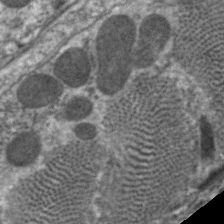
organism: C. elegans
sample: Pharynx